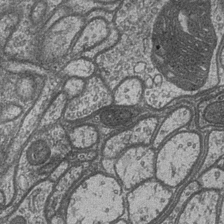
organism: Drosophila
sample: Optic medulla